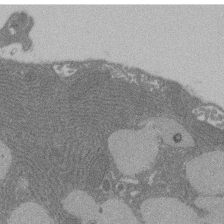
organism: Rat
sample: Salivary granule